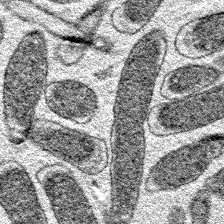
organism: E. coli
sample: E. Coli Bacteria